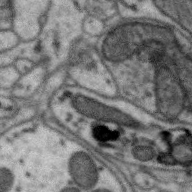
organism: Zebra finch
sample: Brain